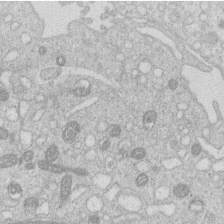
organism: Human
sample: Macrophage cells